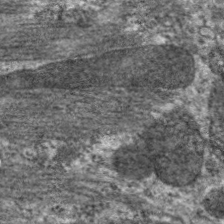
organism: C. elegans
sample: Pharynx